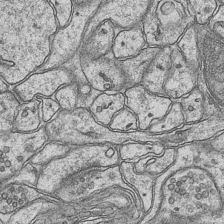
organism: Mouse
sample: CA1 Hippocampus